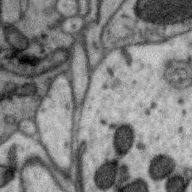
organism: Zebra finch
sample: Brain